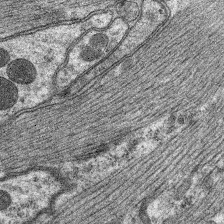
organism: C. elegans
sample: Pharynx